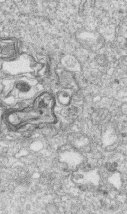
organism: Human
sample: HeLa cell HIV synapse